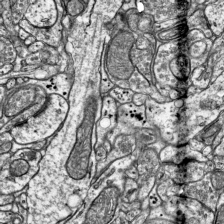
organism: Mouse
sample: Visual Cortex